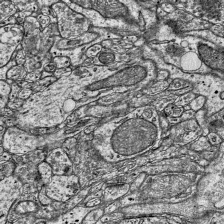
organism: Mouse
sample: Visual Cortex